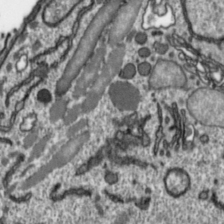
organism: Toxoplasma gondii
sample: Parasites in a vacuole inside a host cell